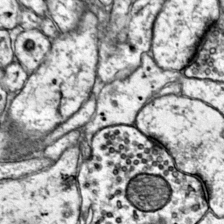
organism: Mouse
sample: Primary visual cortex